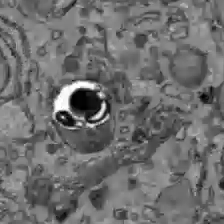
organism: C57BL Mouse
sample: Liver